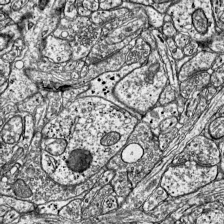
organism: Mouse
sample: Visual Cortex